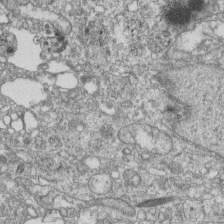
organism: Human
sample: HeLa cell HIV synapse